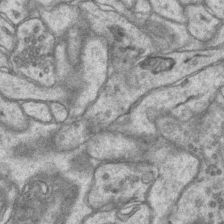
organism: Mouse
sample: CA1 Hippocampus